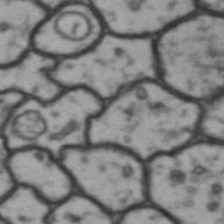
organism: Drosophila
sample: Brain